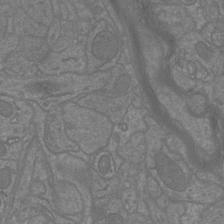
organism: Mouse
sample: Cortical neurons